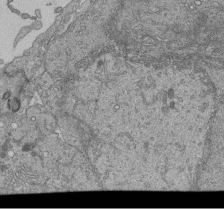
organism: Human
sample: Retinal organoid Rod and Cone cells